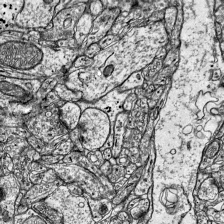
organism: Mouse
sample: Visual Cortex